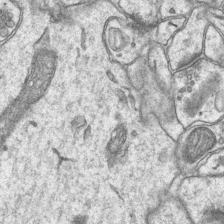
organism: Mouse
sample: CA1 Hippocampus